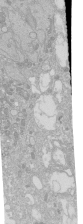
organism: Human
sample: Caco-2 cells